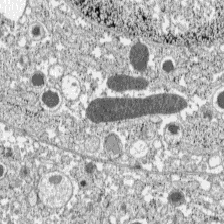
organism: C57BL Mouse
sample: Pancreatic islet